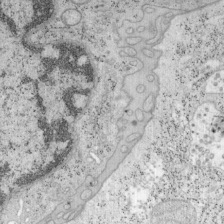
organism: Mouse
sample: OT-I killer T cells with ID8 ovarian cancer cells